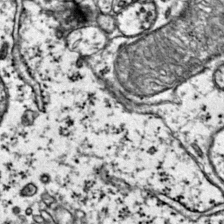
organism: Mouse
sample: Primary visual cortex